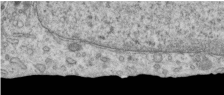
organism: Human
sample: Centriole in RPE cells